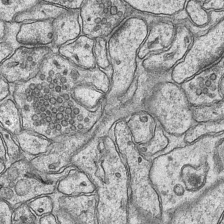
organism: Mouse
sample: CA1 Hippocampus